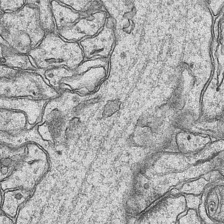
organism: Mouse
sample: CA1 Hippocampus